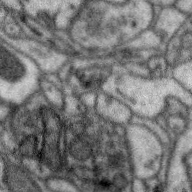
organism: Zebra finch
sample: Brain